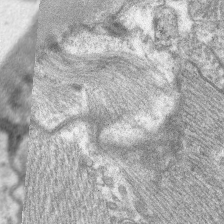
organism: C. elegans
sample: Pharynx